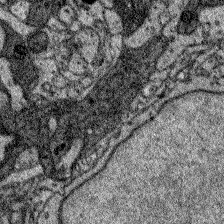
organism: Zebrafish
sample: Larval olfactory bulb